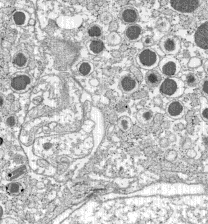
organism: C57BL Mouse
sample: Pancreatic islet